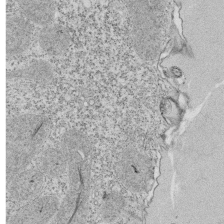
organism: Tetrahymena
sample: Cilia in tetrahymena